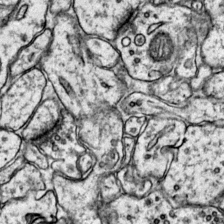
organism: Mouse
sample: Primary visual cortex